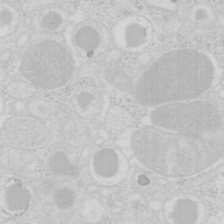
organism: Mouse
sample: Pancreas